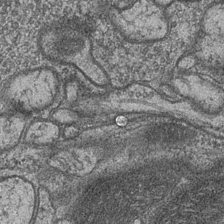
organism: Drosophila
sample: Optic medulla